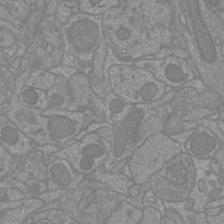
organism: Mouse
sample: Cortical neurons